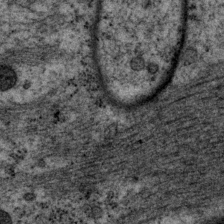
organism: P. pacificus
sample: Pharynx